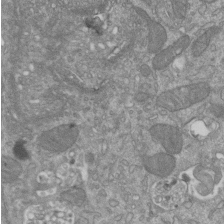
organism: Mouse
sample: ED-1 cell nuclei; centrioles